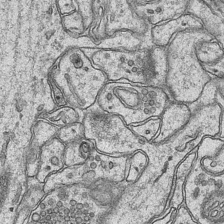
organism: Mouse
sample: CA1 Hippocampus